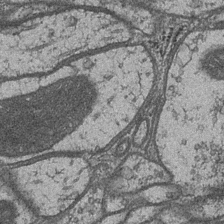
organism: Drosophila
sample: Optic medulla